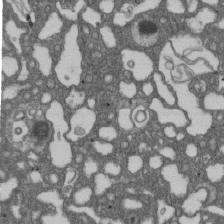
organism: Drosophila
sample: Nephrocyte